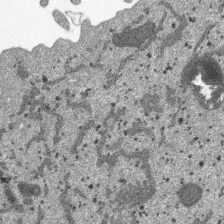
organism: Human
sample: Lung epithelial cells infected with SARS-CoV-2